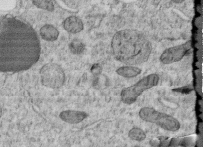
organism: C. elegans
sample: C. elegans embryo early stage